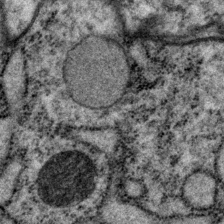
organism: P. pacificus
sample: Pharynx